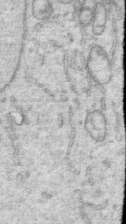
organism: Human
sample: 1205lu cells